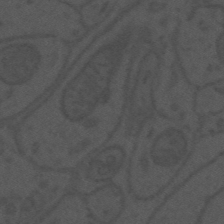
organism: Mouse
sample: Suprachiasmatic nucleus